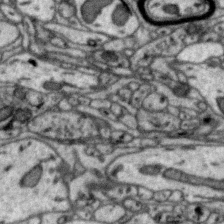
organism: Zebra finch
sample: Brain